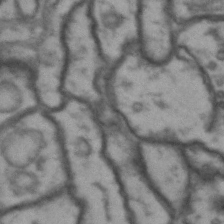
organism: Drosophila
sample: Brain